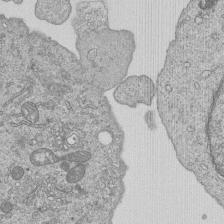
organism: Human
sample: MDA-MB-231 cells